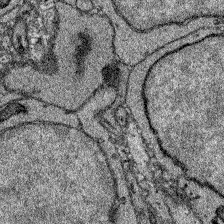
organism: Zebrafish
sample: Larval olfactory bulb